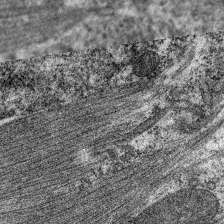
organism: C. elegans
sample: Pharynx